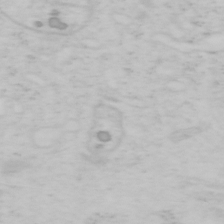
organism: Mouse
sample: OT-I killer T cells with ID8 ovarian cancer cells